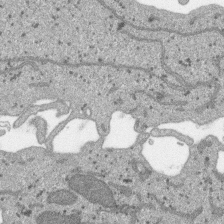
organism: Human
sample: Lung epithelial cells infected with SARS-CoV-2